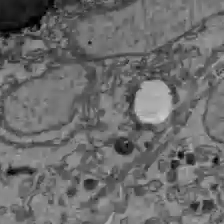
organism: C57BL Mouse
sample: Liver